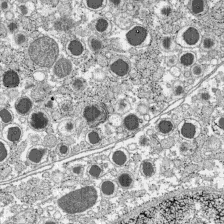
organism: C57BL Mouse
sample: Pancreatic islet